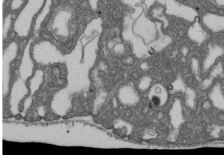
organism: Drosophila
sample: Nephrocyte